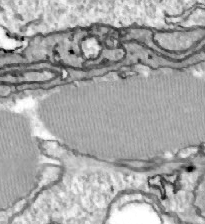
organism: Zebrafish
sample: Actinotrichia fibers